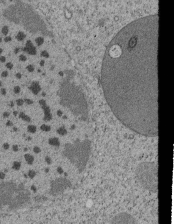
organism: Tetrahymena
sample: Cilia in tetrahymena